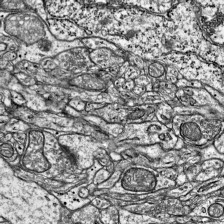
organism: Mouse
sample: Visual Cortex